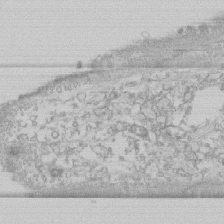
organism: Human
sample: CRL-1474